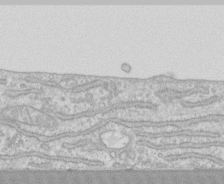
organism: Human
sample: CRL-1474